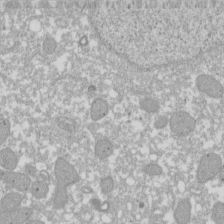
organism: Xenopus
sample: Cilia; centrioles in frog embryo cells